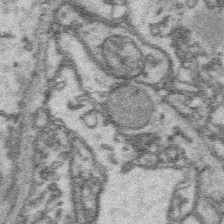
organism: Platynereis dumerilii